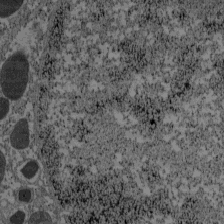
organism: C57BL Mouse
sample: Pancreatic islet